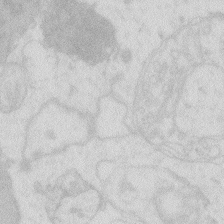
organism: Zebrafish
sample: Macrophage